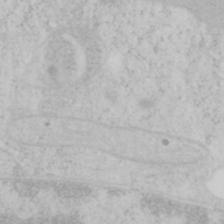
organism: Mouse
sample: OT-I killer T cells with ID8 ovarian cancer cells